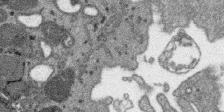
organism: Human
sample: Lung epithelial cells infected with SARS-CoV-2